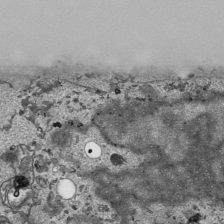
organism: Human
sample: Mitochondria in HCT116 cells